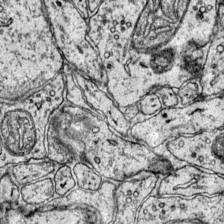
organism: Mouse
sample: Primary visual cortex